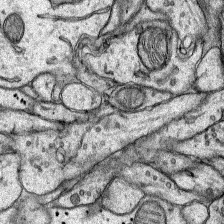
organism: Rat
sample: Hippocampus